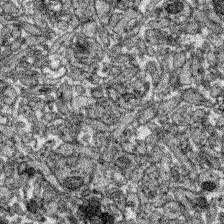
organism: Zebrafish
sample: Larval olfactory bulb